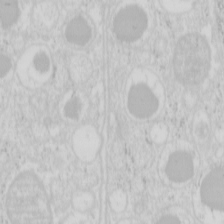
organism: Mouse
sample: Pancreas